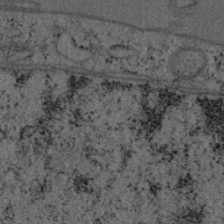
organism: Human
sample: HeLa cells